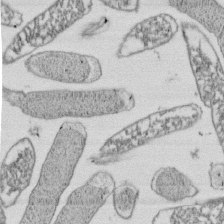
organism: E. coli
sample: Bacterial nucleoid